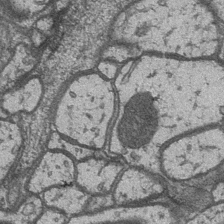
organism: Drosophila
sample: Optic medulla